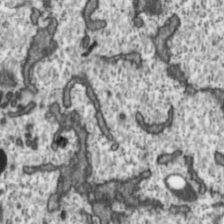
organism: Toxoplasma gondii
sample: Parasites in a vacuole inside a host cell